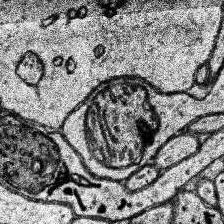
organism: Human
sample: Temporal Lobe